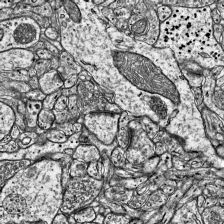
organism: Mouse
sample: Visual Cortex